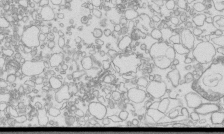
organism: Mouse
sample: Macrophages